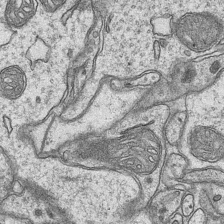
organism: Mouse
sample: CA1 Hippocampus